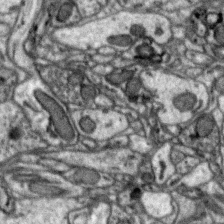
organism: Zebra finch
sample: Brain